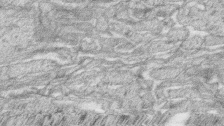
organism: Zebrafish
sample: synaptic ribbons in rod cells and cone cells